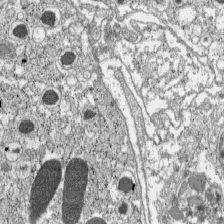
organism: C57BL Mouse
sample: Pancreatic islet